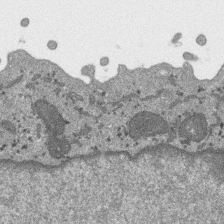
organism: Human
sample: Lung epithelial cells infected with SARS-CoV-2